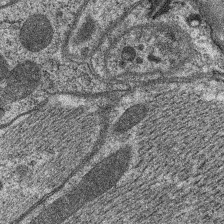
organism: C. elegans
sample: Pharynx